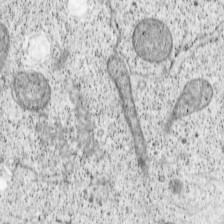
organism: African green monkey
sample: COS-7 cells